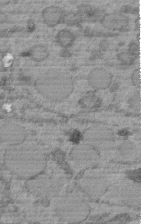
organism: C. elegans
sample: C. elegans embryo early stage